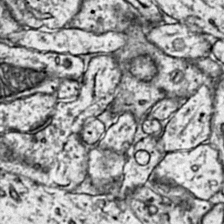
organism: Mouse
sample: Primary visual cortex